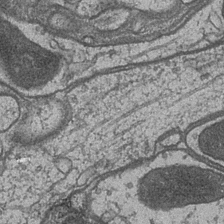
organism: Drosophila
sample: Optic medulla